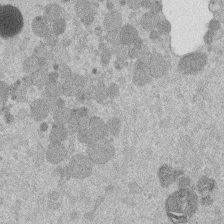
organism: Mouse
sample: Dividing mouse embryo 1 cell stage